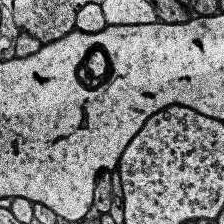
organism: Human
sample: Temporal Lobe